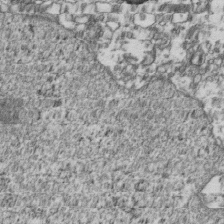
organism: Human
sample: Activated Jurkat CD4+ T cells